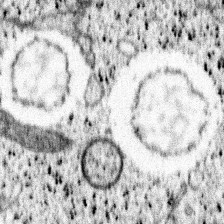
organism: Human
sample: HeLa cells